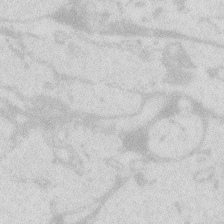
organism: Zebrafish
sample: Macrophage